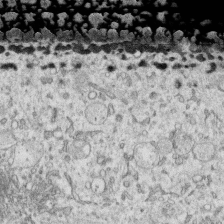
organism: Human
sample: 1205lu cells